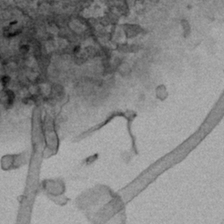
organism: Human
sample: Mitochondria in HCT116 cells